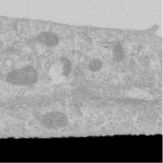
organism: Human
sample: Centriole in RPE cells